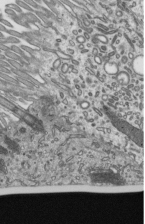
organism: Mouse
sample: Mouse epididymis efferent ductule cilia